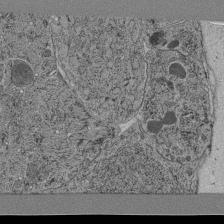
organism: C. elegans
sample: C. elegans pharynx